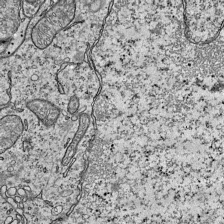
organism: Mouse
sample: Visual Cortex